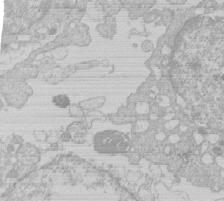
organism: Human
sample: Macrophage cells